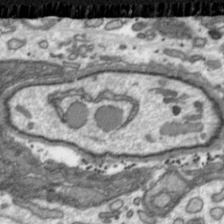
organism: Toxoplasma gondii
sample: Parasites in a vacuole inside a host cell